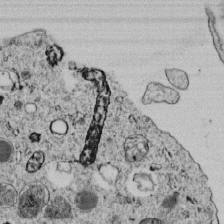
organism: C. elegans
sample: C. elegans embryo early stage